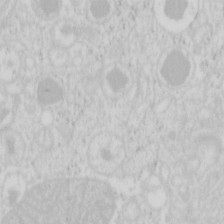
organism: Mouse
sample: Pancreas